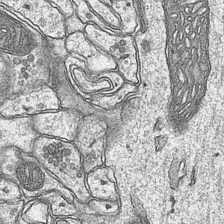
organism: Mouse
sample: CA1 Hippocampus